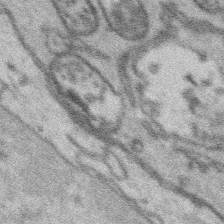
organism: Platynereis dumerilii